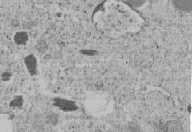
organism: C. elegans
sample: C. elegans embryo early stage